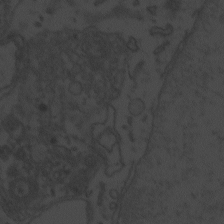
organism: Zebrafish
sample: Macrophage infected with Toxoplasma gondii